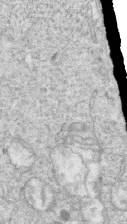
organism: Human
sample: HeLa cell HIV synapse